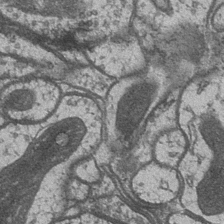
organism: Drosophila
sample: Optic medulla